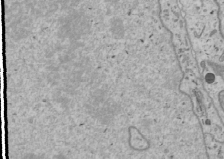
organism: Human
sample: Mitochondria in U2OS cells